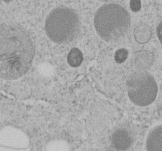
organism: C. elegans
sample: C. elegans embryo early stage